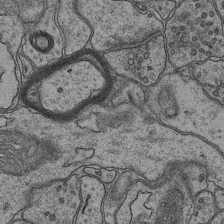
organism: Mouse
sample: CA1 Hippocampus